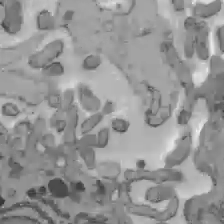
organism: C57BL Mouse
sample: Liver